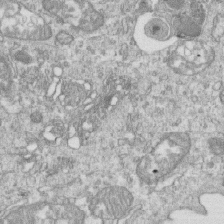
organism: Mouse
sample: Activated OT-1 CD8+ T cells